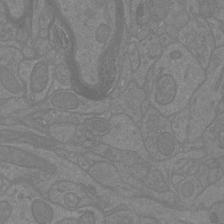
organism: Mouse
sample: Cortical neurons